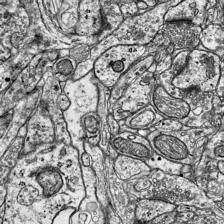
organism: Mouse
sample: Visual Cortex